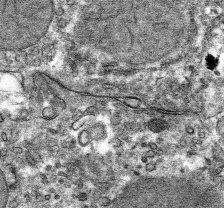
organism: Mouse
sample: Mouse hepatocytes